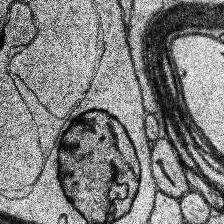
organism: Human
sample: Temporal Lobe